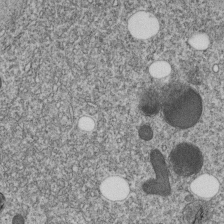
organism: C. elegans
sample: C. elegans embryo early stage